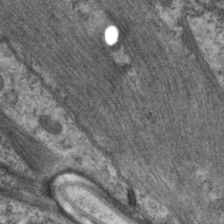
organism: C. elegans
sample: Pharynx